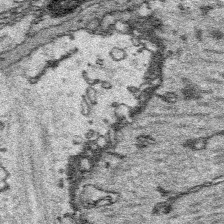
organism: Platynereis dumerilii